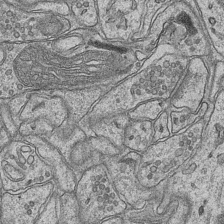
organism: Mouse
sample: CA1 Hippocampus